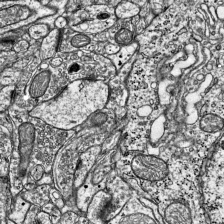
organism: Mouse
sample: Visual Cortex